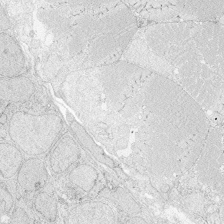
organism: Zebrafish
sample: Whole-Brain